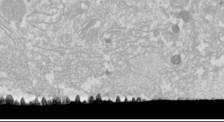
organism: Drosophila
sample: Cell division; meiosis; drosophila spermatocytes